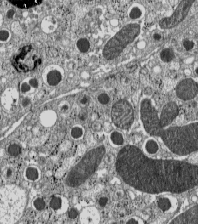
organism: C57BL Mouse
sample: Pancreatic islet